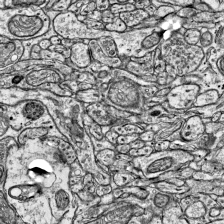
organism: Mouse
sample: Visual Cortex